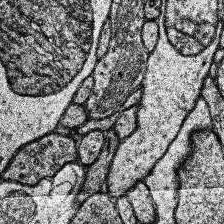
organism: Human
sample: Temporal Lobe